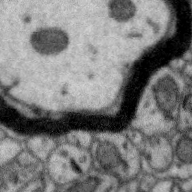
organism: Zebra finch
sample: Brain